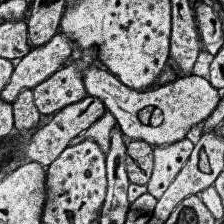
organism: Human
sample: Temporal Lobe